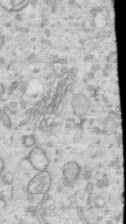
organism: Human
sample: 1205lu cells